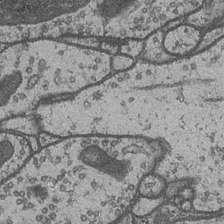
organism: Drosophila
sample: Optic medulla